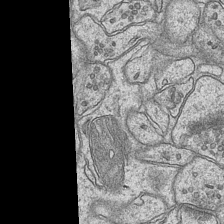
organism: Mouse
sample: CA1 Hippocampus